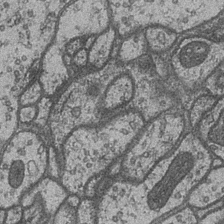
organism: Drosophila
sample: Optic medulla